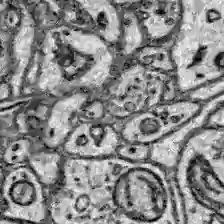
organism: Zebrafish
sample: Brain